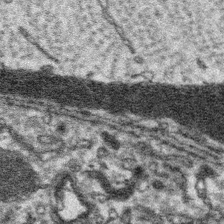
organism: Platynereis dumerilii